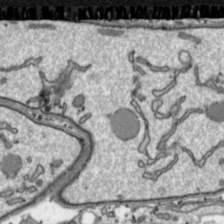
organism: Toxoplasma gondii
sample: Parasites in a vacuole inside a host cell